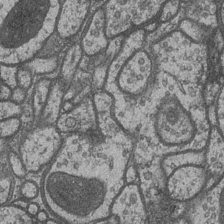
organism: Drosophila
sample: Optic medulla